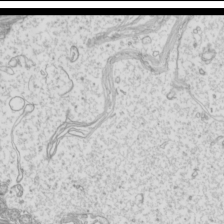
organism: Mouse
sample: Cilia; mouse epididymis